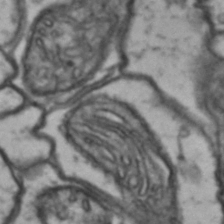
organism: Drosophila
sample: Brain